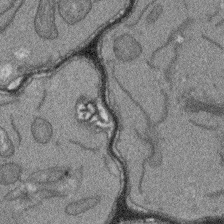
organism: Arabidopsis thaliana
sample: Root tip